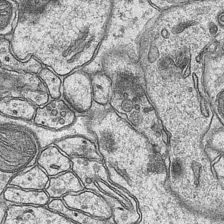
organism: Mouse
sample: CA1 Hippocampus